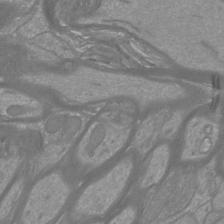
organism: Mouse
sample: Cortical neurons